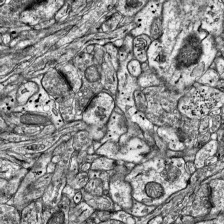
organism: Mouse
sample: Visual Cortex